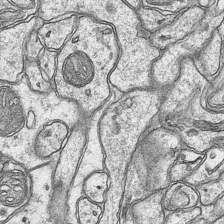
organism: Mouse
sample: CA1 Hippocampus